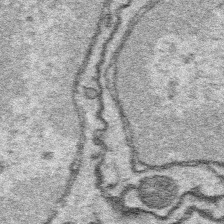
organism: Platynereis dumerilii